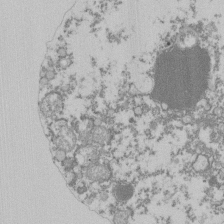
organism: Mouse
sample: Activated Pmel transgenic CD8+ T Cells